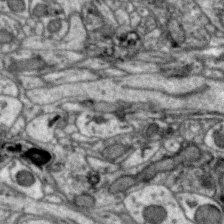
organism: Zebra finch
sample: Brain